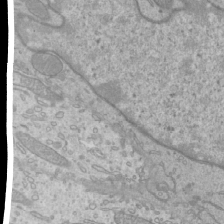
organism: Mouse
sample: Cilia; mouse epididymis